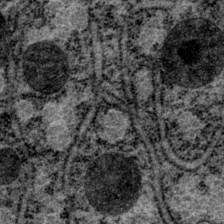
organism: P. pacificus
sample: Pharynx